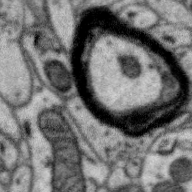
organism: Zebra finch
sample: Brain